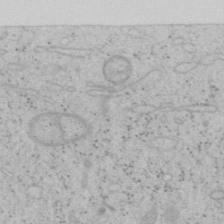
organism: Human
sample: HeLa cells